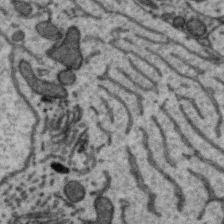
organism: Zebra finch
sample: Brain